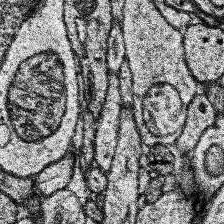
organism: Human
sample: Temporal Lobe